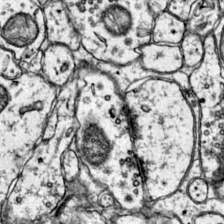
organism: Mouse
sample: Primary visual cortex